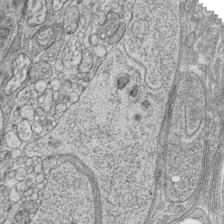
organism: Zebrafish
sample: synaptic ribbons in rod cells and cone cells